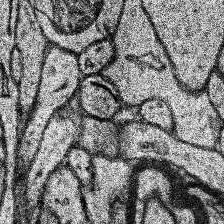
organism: Human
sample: Temporal Lobe